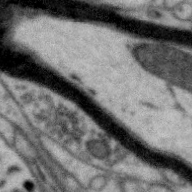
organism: Zebra finch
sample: Brain